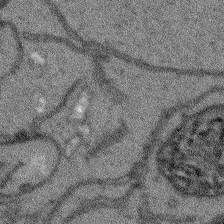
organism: Arabidopsis thaliana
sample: Root tip